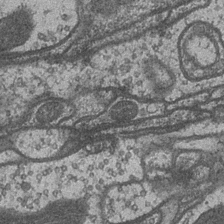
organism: Drosophila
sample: Optic medulla